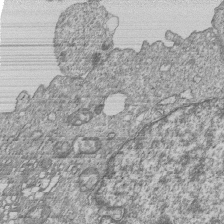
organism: Human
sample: MDA-MB-231 cells